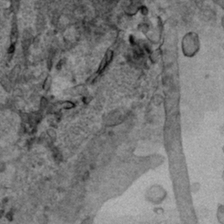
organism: Human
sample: Mitochondria in HCT116 cells